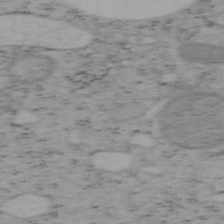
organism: Mouse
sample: OT-I killer T cells with ID8 ovarian cancer cells